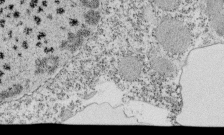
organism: Tetrahymena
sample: Cilia in tetrahymena